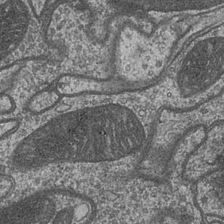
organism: Drosophila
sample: Optic medulla